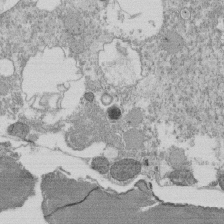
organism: Tetrahymena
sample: Cilia in tetrahymena